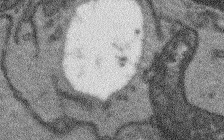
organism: Arabidopsis thaliana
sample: Root tip